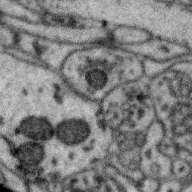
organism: Zebra finch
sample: Brain